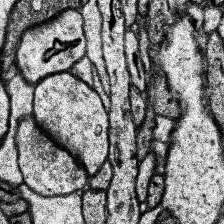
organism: Human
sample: Temporal Lobe